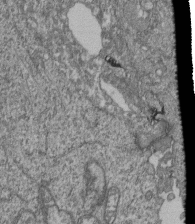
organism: Human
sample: Retinal organoid Rod and Cone cells